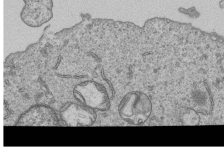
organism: Human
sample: MDA-MB-231 cells